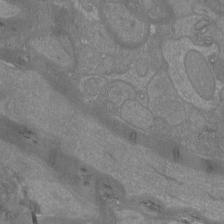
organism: Mouse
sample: Cortical neurons